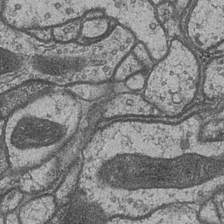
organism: Drosophila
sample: Optic medulla